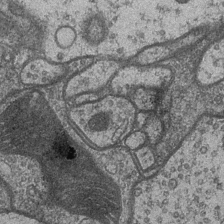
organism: Drosophila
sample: Optic medulla